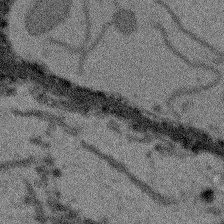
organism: Arabidopsis thaliana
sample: Root tip